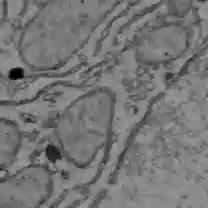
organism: C57BL Mouse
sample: Liver